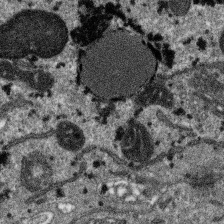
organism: Human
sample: Lung epithelial cells infected with SARS-CoV-2